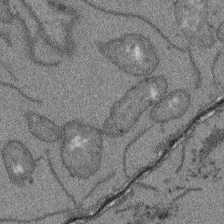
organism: Arabidopsis thaliana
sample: Root tip